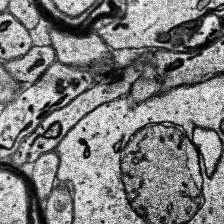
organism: Human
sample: Temporal Lobe